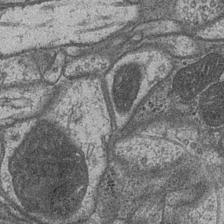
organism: Drosophila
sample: Optic medulla